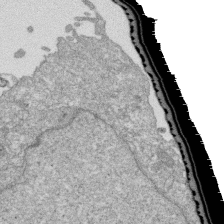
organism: Human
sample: HeLa cell HIV synapse